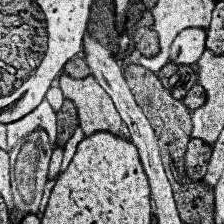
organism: Human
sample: Temporal Lobe